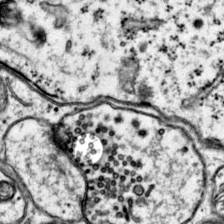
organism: Mouse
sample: Primary visual cortex